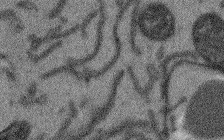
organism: Arabidopsis thaliana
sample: Root tip